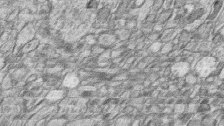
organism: Zebrafish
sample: synaptic ribbons in rod cells and cone cells